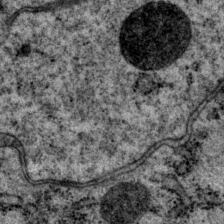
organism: P. pacificus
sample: Pharynx